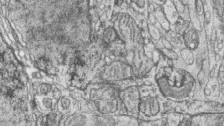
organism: Zebrafish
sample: synaptic ribbons in rod cells and cone cells